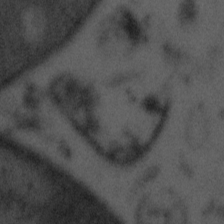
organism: Tuwongella immobilis